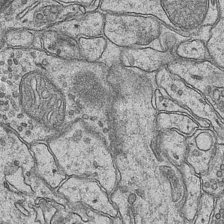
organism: Mouse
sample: CA1 Hippocampus